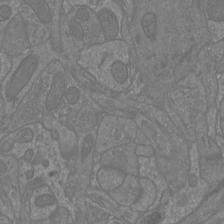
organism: Mouse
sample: Cortical neurons